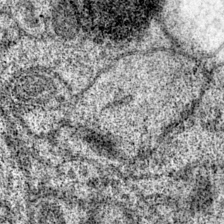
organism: Mouse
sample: Primary visual cortex